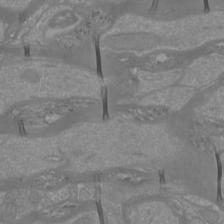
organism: Mouse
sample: Cortical neurons